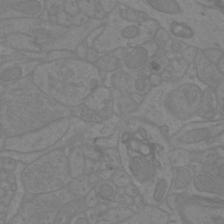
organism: Mouse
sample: Cortical neurons